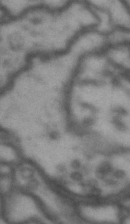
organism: Drosophila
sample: Brain